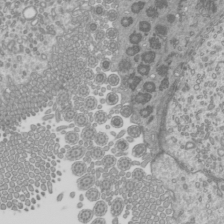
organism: Mouse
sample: Cilia; mouse epididymis